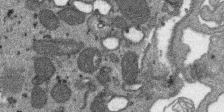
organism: Human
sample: Lung epithelial cells infected with SARS-CoV-2